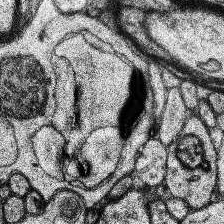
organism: Human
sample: Temporal Lobe